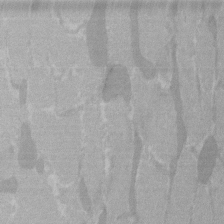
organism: C57BL Mouse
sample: Tibialis anterior muscle cell